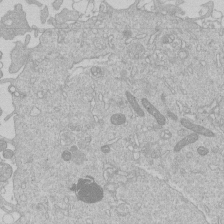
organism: Human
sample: Macrophage cells